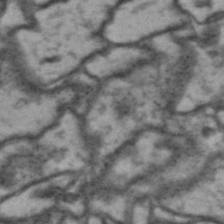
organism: Drosophila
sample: Brain